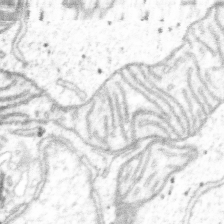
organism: Human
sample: HeLa cells